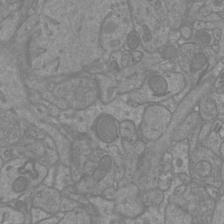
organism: Mouse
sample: Cortical neurons